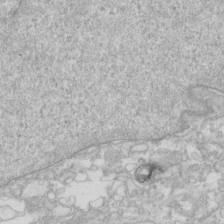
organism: Human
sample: Fibroblast cells